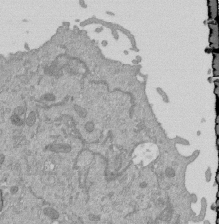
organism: Mouse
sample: ED-1 cell nuclei; centrioles